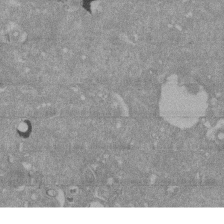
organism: Mouse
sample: ED-1 cell nuclei; centrioles